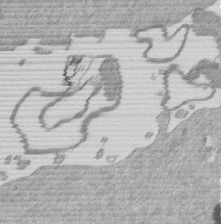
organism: Mouse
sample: Dividing mouse embryo 1 cell stage